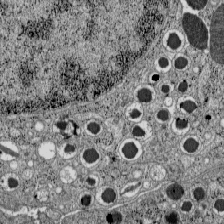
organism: C57BL Mouse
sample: Pancreatic islet